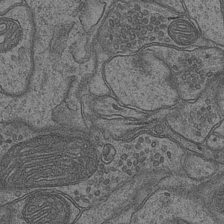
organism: Mouse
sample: CA1 Hippocampus